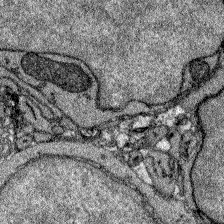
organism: Zebrafish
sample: Larval olfactory bulb